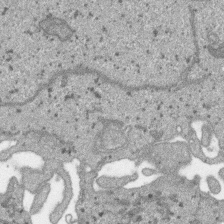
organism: Human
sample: Lung epithelial cells infected with SARS-CoV-2